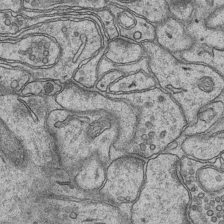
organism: Mouse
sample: CA1 Hippocampus